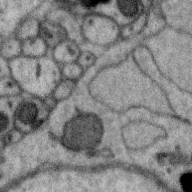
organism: Zebra finch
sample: Brain